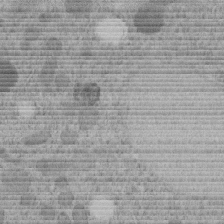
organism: C. elegans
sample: C. elegans embryo early stage